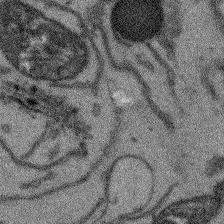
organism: Arabidopsis thaliana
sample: Root tip